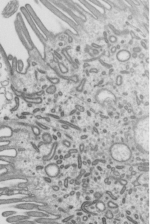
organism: Mouse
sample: Mouse epididymis efferent ductule cilia